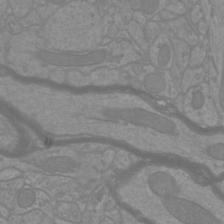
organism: Mouse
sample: Cortical neurons